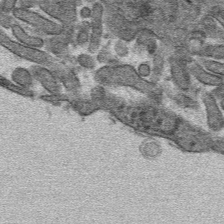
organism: Mouse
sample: Mouse hepatocytes